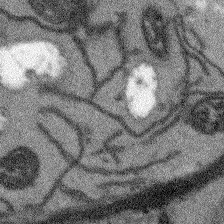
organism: Arabidopsis thaliana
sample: Root tip